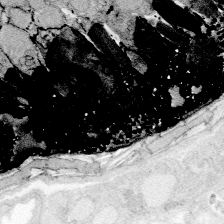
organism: Zebrafish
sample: Whole-Brain